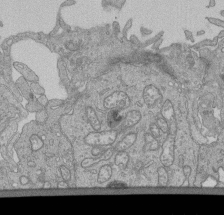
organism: Human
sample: Retinal organoid Rod and Cone cells